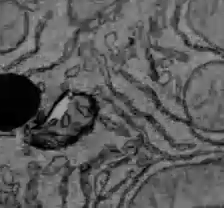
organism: C57BL Mouse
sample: Liver